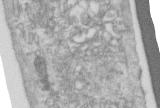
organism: Human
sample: Centriole in RPE cells